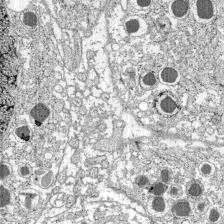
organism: C57BL Mouse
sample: Pancreatic islet